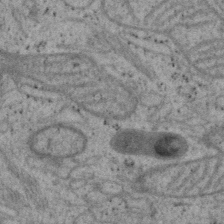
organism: Human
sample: HeLa cells